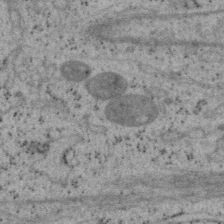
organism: Human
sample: HeLa cells